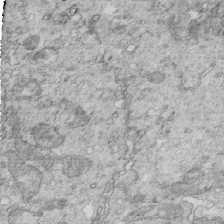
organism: Mouse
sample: Multiciliated cells